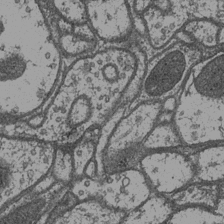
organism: Drosophila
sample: Optic medulla